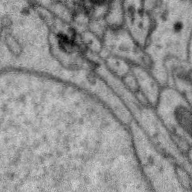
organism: Zebra finch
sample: Brain